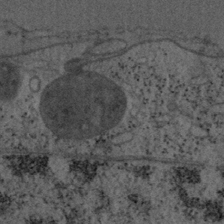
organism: Human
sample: HeLa cells